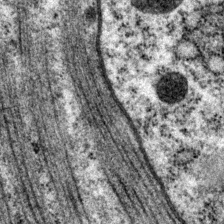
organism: P. pacificus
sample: Pharynx